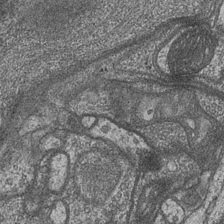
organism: Drosophila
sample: Optic medulla